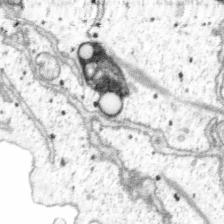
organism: Human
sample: HeLa cells